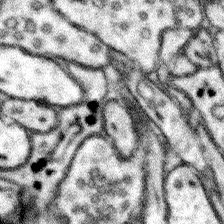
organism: Mouse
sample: Somatosensory cortex neuropil